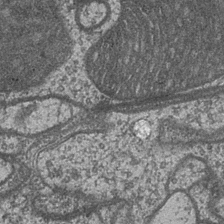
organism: Drosophila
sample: Optic medulla